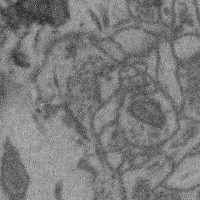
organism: Mouse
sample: Cerebral cortex